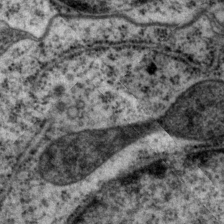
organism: P. pacificus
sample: Pharynx